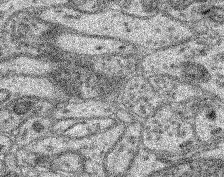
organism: Mouse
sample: Retina